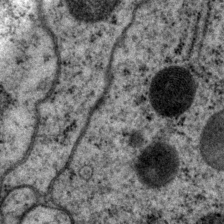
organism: P. pacificus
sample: Pharynx